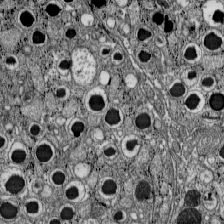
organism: C57BL Mouse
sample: Pancreatic islet